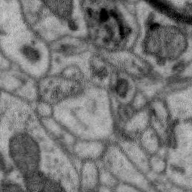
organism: Zebra finch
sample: Brain